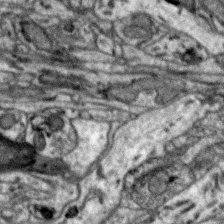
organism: Zebra finch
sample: Brain